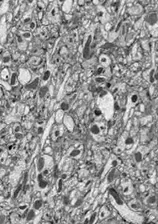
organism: Drosophila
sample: Optic lobe